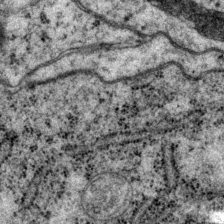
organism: P. pacificus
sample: Pharynx